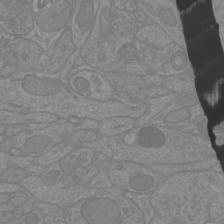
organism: Mouse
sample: Cortical neurons